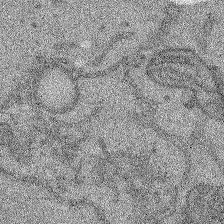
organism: Human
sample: HeLa cells